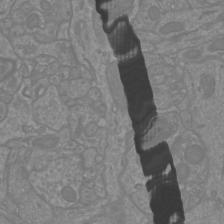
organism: Mouse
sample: Cortical neurons